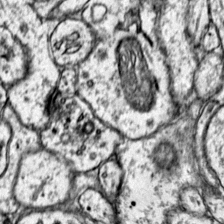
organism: Mouse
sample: Primary visual cortex